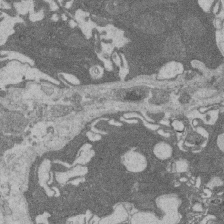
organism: Rat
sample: Salivary granule